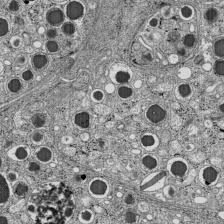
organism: C57BL Mouse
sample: Pancreatic islet